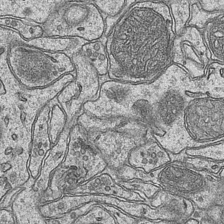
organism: Mouse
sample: CA1 Hippocampus